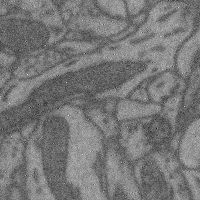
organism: Mouse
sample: Cerebral cortex